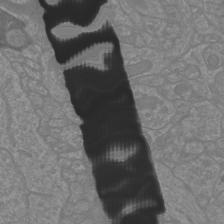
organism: Mouse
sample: Cortical neurons